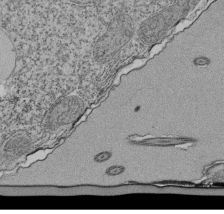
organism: Tetrahymena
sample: Cilia in tetrahymena